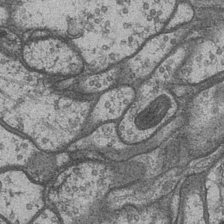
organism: Drosophila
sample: Optic medulla